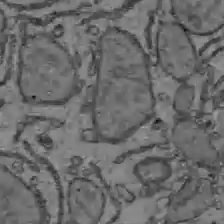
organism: C57BL Mouse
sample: Liver